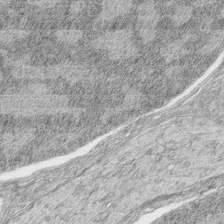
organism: Zebrafish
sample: synaptic ribbons in rod cells and cone cells